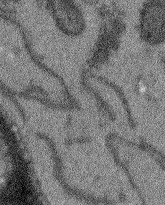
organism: Arabidopsis thaliana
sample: Root tip